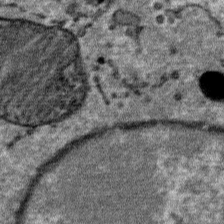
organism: Mouse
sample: Mouse Salivary gland